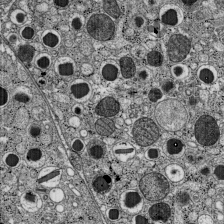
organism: C57BL Mouse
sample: Pancreatic islet